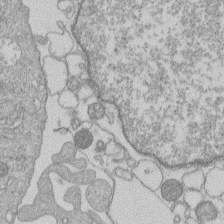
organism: Human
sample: Macrophage cells